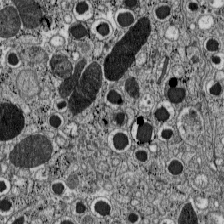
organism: C57BL Mouse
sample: Pancreatic islet